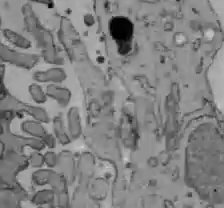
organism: C57BL Mouse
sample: Liver